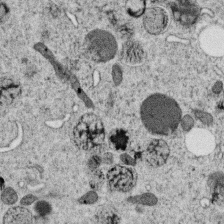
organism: C. elegans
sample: C. elegans oocyte; sperm cells